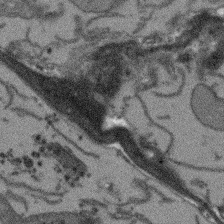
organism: Arabidopsis thaliana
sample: Root tip